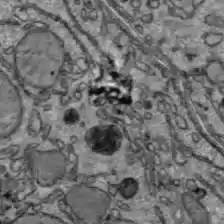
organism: C57BL Mouse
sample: Liver